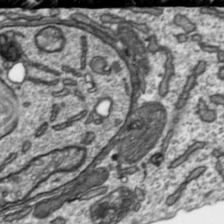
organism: Toxoplasma gondii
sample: Parasites in a vacuole inside a host cell